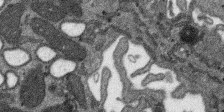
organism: Human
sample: Lung epithelial cells infected with SARS-CoV-2